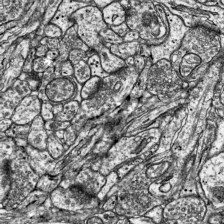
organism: Mouse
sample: Visual Cortex